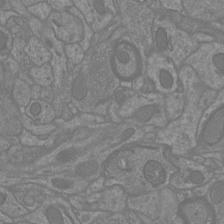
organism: Mouse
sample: Cortical neurons